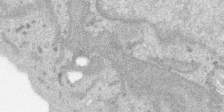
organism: Human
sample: Lung epithelial cells infected with SARS-CoV-2